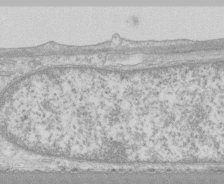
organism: Human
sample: CRL-1474